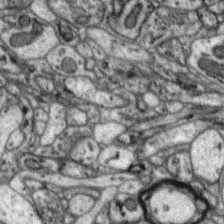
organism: Zebra finch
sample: Brain